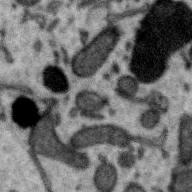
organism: Zebra finch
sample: Brain